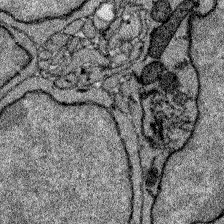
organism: Zebrafish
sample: Larval olfactory bulb